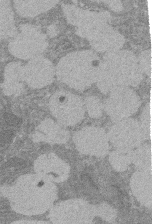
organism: Rat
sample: Salivary granule